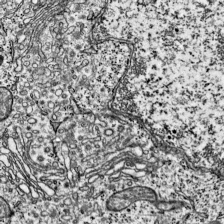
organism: Mouse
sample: Visual Cortex